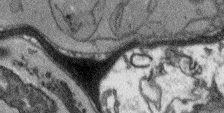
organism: Arabidopsis thaliana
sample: Root tip